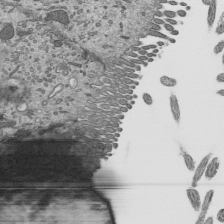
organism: Mouse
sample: Mouse epididymis efferent ductule cilia